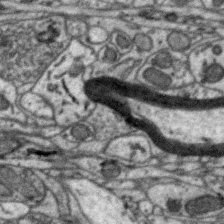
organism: Zebra finch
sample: Brain